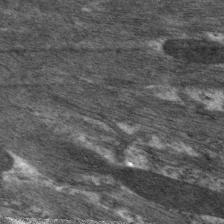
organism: C. elegans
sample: Pharynx